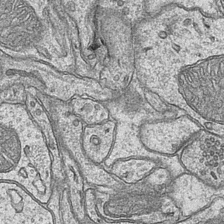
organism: Mouse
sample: CA1 Hippocampus